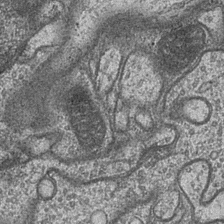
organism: Drosophila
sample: Optic medulla